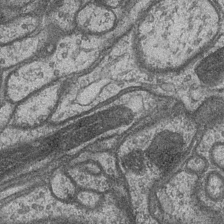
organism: Drosophila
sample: Optic medulla